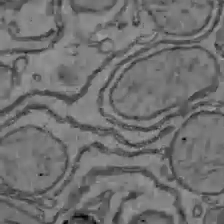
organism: C57BL Mouse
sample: Liver